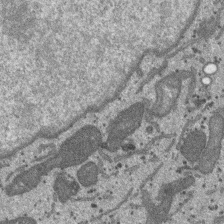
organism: Human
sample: Lung epithelial cells infected with SARS-CoV-2